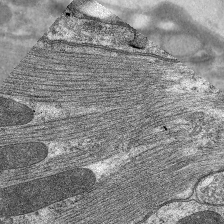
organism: C. elegans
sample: Pharynx